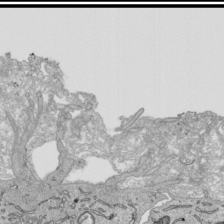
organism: Human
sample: Mitochondria in HCT116 cells